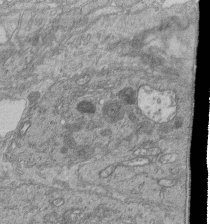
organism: Human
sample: Retinal organoid Rod and Cone cells